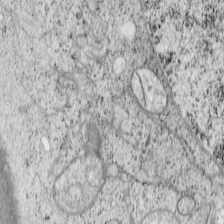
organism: African green monkey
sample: COS-7 cells